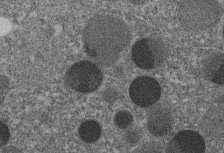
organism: C. elegans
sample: C. elegans embryo early stage